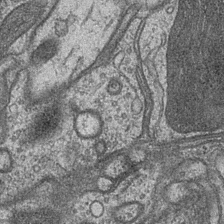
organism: Drosophila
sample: Optic medulla